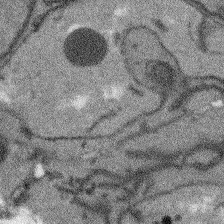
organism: Arabidopsis thaliana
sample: Root tip